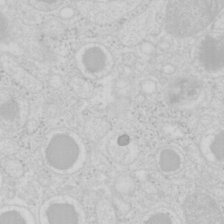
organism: Mouse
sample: Pancreas